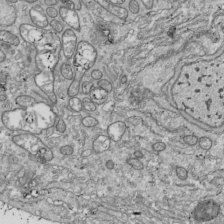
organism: Drosophila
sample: Cell division; meiosis; drosophila spermatocytes